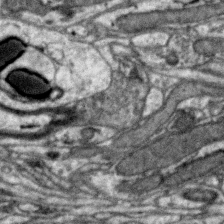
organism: Zebra finch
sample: Brain